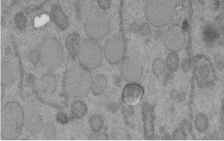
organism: C. elegans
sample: C. elegans embryo early stage